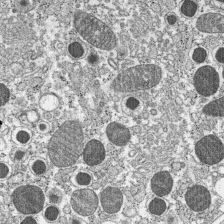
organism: C57BL Mouse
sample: Pancreatic islet